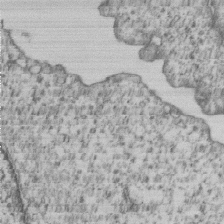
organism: Human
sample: MDA-MB-231 cells